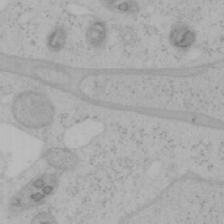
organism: Mouse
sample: OT-I killer T cells with ID8 ovarian cancer cells